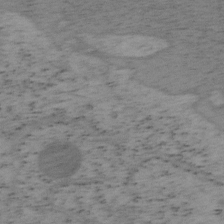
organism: Mouse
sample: OT-I killer T cells with ID8 ovarian cancer cells